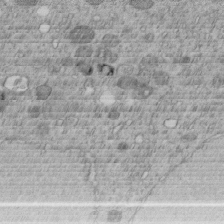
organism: C. elegans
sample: C. elegans embryo early stage